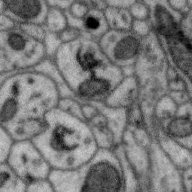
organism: Zebra finch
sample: Brain